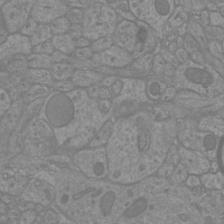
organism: Mouse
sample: Cortical neurons